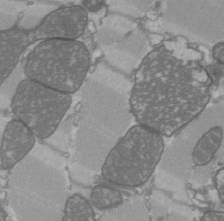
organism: C57BL Mouse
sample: Heart